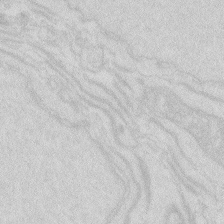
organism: Zebrafish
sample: Macrophage